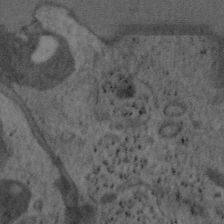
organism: Human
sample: HeLa cells